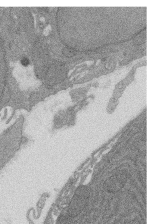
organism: Rat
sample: Salivary granule